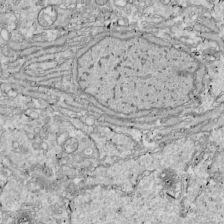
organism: Drosophila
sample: Cell division; meiosis; drosophila spermatocytes